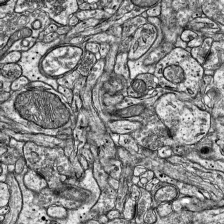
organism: Mouse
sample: Visual Cortex